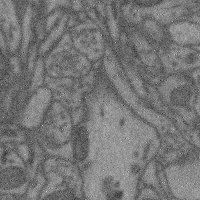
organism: Mouse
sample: Cerebral cortex